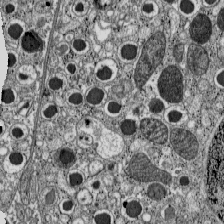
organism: C57BL Mouse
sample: Pancreatic islet